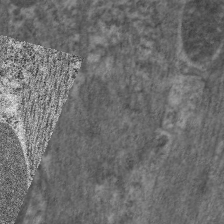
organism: C. elegans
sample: Pharynx